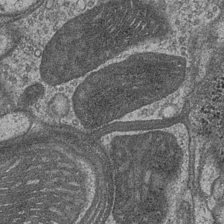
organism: Drosophila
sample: Optic medulla